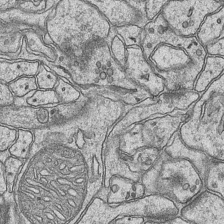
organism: Mouse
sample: CA1 Hippocampus